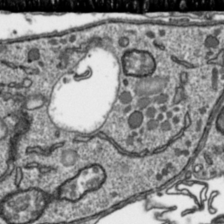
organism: Toxoplasma gondii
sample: Parasites in a vacuole inside a host cell